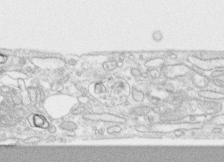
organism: Human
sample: CRL-1474